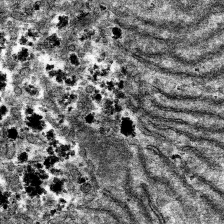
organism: Mouse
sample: Mouse hepatocytes